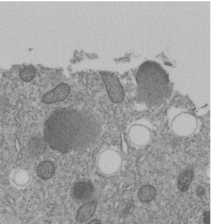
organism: C. elegans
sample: C. elegans embryo early stage